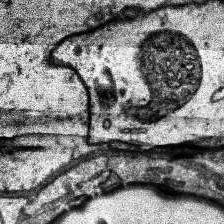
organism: Human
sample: Temporal Lobe